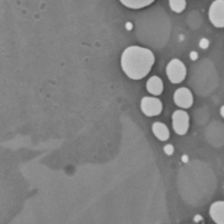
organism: C. elegans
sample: C. elegans embryo